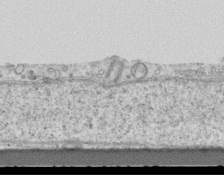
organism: Mouse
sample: Centriole in ependymal cells